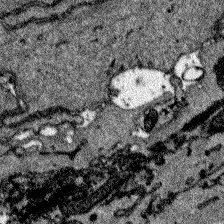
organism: Zebrafish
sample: Larval olfactory bulb